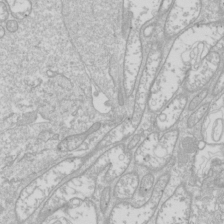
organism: Drosophila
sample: Cell division; meiosis; drosophila spermatocytes